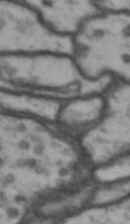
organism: Drosophila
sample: Brain